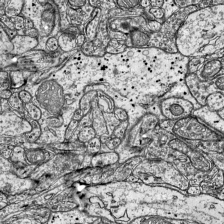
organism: Mouse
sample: Visual Cortex